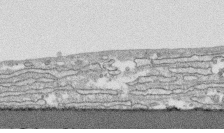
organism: Human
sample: CRL-1474